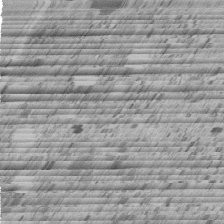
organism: C. elegans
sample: C. elegans embryo early stage